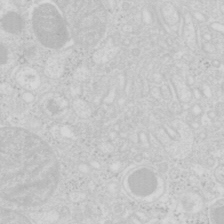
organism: Mouse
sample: Pancreas